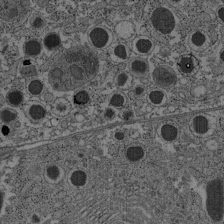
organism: C57BL Mouse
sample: Pancreatic islet